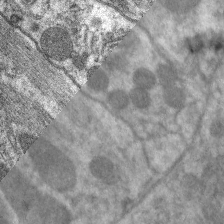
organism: C. elegans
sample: Pharynx